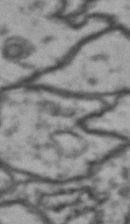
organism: Drosophila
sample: Brain